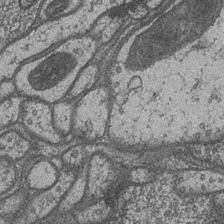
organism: Drosophila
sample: Optic medulla